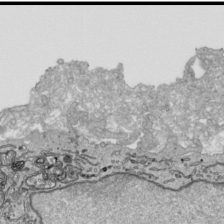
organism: Human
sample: Mitochondria in HCT116 cells